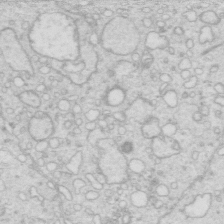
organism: Mouse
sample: Multiciliated cells